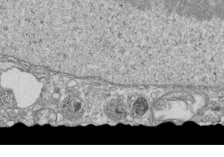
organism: Human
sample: HeLa cell HIV synapse